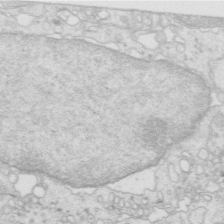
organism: Mouse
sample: Multiciliated cells